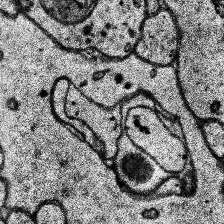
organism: Human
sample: Temporal Lobe